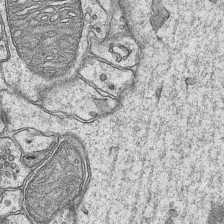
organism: Mouse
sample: CA1 Hippocampus